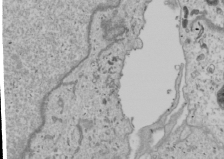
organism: Human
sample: Mitochondria in U2OS cells